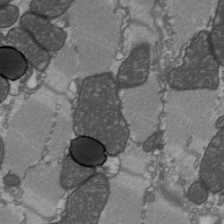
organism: C57BL Mouse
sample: Heart